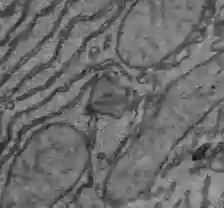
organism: C57BL Mouse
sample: Liver